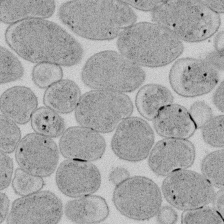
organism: E. coli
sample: Bacterial nucleoid